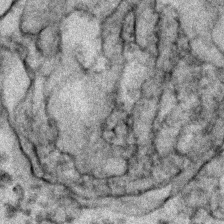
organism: Zebrafish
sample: Zebrafish embryo